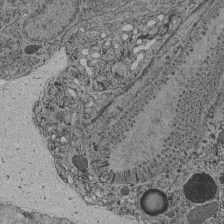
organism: C. elegans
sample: C. elegans pharynx